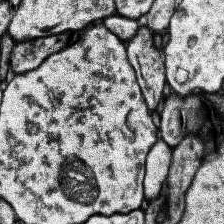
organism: Human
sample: Temporal Lobe